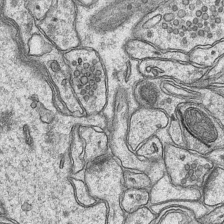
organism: Mouse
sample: CA1 Hippocampus